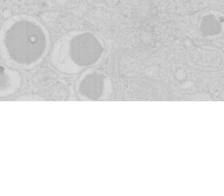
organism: Mouse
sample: Pancreas